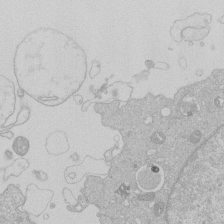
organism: Human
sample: Macrophage cells